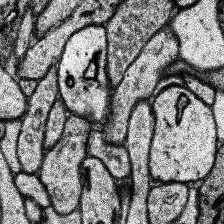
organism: Human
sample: Temporal Lobe